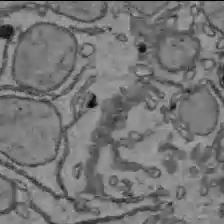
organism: C57BL Mouse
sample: Liver